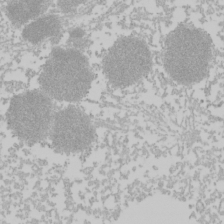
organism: Mouse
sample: Cancer cell death in ED-1 cells